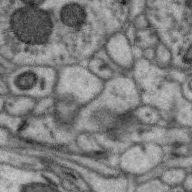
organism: Zebra finch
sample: Brain